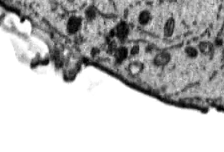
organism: Human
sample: HeLa cells